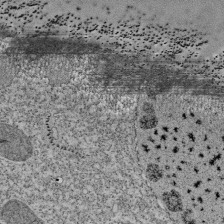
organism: Tetrahymena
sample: Cilia in tetrahymena